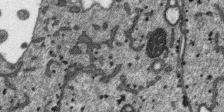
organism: Human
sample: Lung epithelial cells infected with SARS-CoV-2